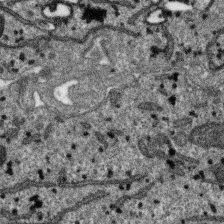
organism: Human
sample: Lung epithelial cells infected with SARS-CoV-2